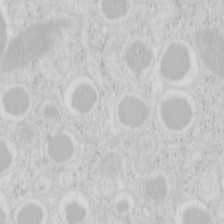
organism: Mouse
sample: Pancreas